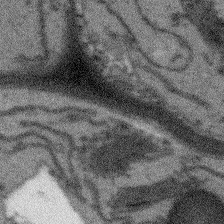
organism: Arabidopsis thaliana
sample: Root tip